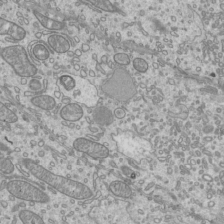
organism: Mouse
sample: Cilia; mouse epididymis